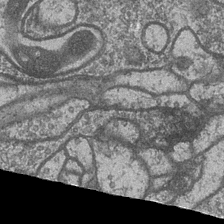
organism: Drosophila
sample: Optic medulla